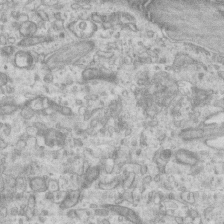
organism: Mouse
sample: Centriole in ependymal cells